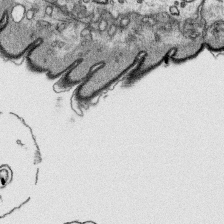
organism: Platynereis dumerilii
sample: Parapodia